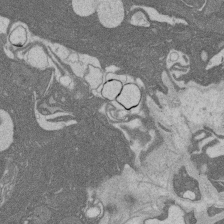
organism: Rat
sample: Salivary granule